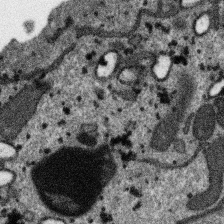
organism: Human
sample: Lung epithelial cells infected with SARS-CoV-2